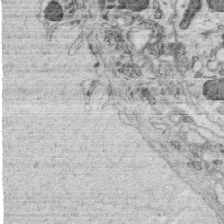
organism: C. elegans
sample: C. elegans oocyte; sperm cells